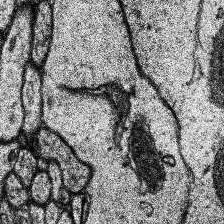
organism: Human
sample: Temporal Lobe